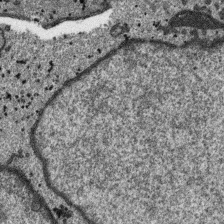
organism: Human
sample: Lung epithelial cells infected with SARS-CoV-2